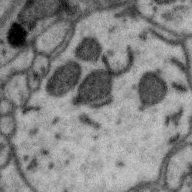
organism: Zebra finch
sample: Brain